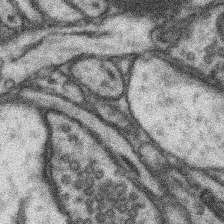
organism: Mouse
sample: Somatosensory cortex neuropil